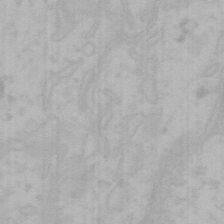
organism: Mouse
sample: Choroid plexus